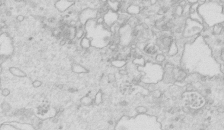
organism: Mouse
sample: Multiciliated cells